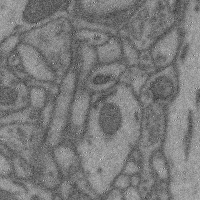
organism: Mouse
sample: Cerebral cortex